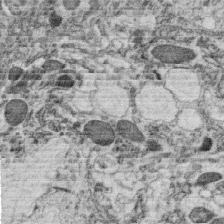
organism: C. elegans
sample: C. elegans oocyte; sperm cells